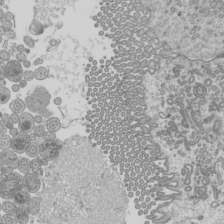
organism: Mouse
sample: Cilia; mouse epididymis